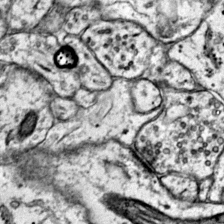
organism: Mouse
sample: Primary visual cortex